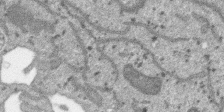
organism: Human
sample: Lung epithelial cells infected with SARS-CoV-2